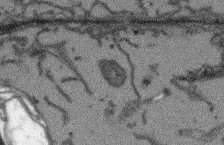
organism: Arabidopsis thaliana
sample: Root tip